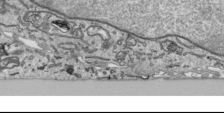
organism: Human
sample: Mitochondria in HCT116 cells